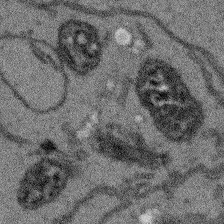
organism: Arabidopsis thaliana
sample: Root tip